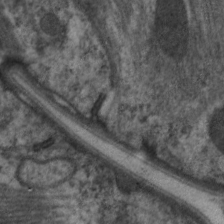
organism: C. elegans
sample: Pharynx